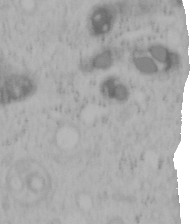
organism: Mouse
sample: OT-I killer T cells with ID8 ovarian cancer cells